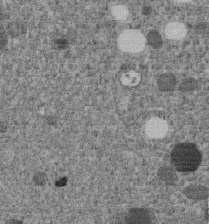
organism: C. elegans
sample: C. elegans embryo early stage